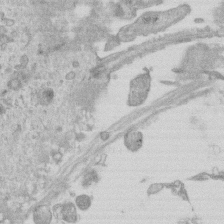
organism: Mouse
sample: Centriole in ependymal cells